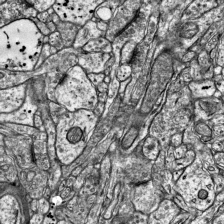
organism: Mouse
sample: Visual Cortex